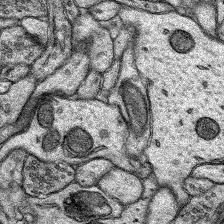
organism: Rat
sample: Hippocampus